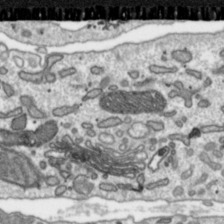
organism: Toxoplasma gondii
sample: Parasites in a vacuole inside a host cell